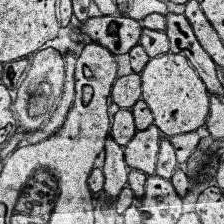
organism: Human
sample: Temporal Lobe